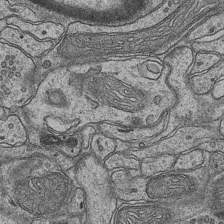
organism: Mouse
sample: CA1 Hippocampus